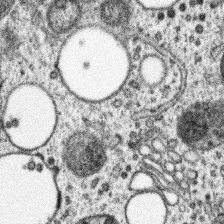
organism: Human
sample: HeLa cells